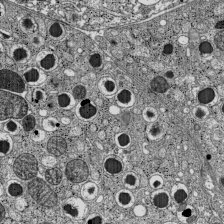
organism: C57BL Mouse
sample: Pancreatic islet